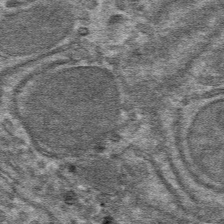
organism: Mouse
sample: Mouse hepatocytes